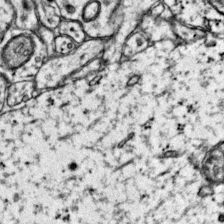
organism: Mouse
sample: Primary visual cortex